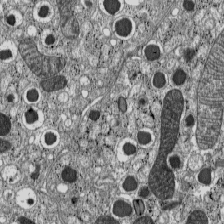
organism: C57BL Mouse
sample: Pancreatic islet